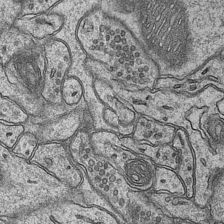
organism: Mouse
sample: CA1 Hippocampus